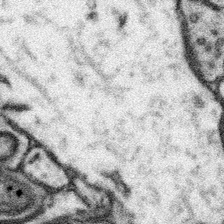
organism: Mouse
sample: Somatosensory cortex neuropil